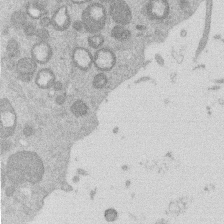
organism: Mouse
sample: Dividing mouse embryo 1 cell stage